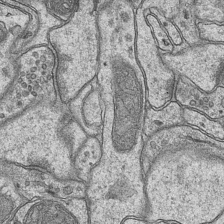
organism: Mouse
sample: CA1 Hippocampus